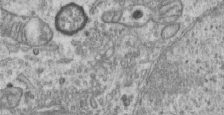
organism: Human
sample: Centriole in RPE cells